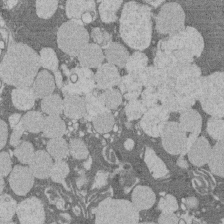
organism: Rat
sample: Salivary granule